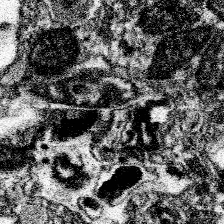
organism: Spongilla lacustris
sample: Neuroid cell